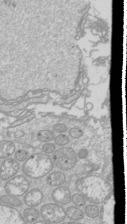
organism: Drosophila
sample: Cell division; meiosis; drosophila spermatocytes